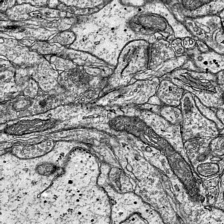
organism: Mouse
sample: Visual Cortex